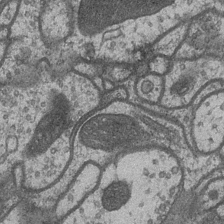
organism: Drosophila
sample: Optic medulla